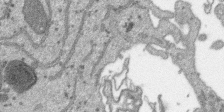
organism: Human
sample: Lung epithelial cells infected with SARS-CoV-2